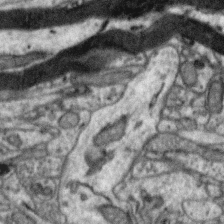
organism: Zebra finch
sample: Brain